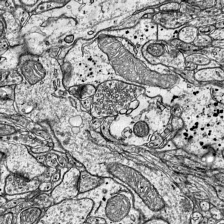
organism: Mouse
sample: Visual Cortex